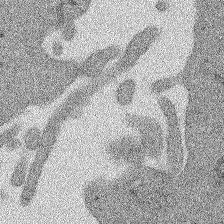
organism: Human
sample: HeLa cells